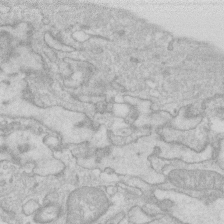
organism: Human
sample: Fibroblast cells